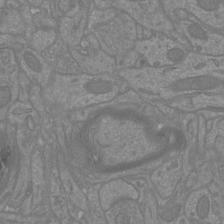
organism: Mouse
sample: Cortical neurons